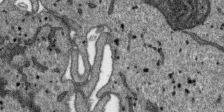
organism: Human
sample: Lung epithelial cells, uninfected (mock) control